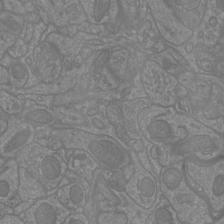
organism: Mouse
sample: Cortical neurons